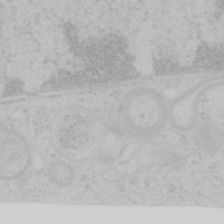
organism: Mouse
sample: OT-I killer T cells with ID8 ovarian cancer cells